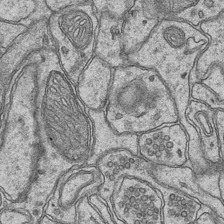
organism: Mouse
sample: CA1 Hippocampus